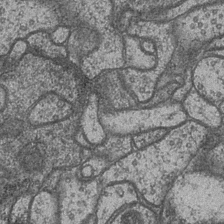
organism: Drosophila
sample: Optic medulla